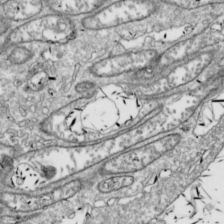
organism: Drosophila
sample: Cell division; meiosis; drosophila spermatocytes